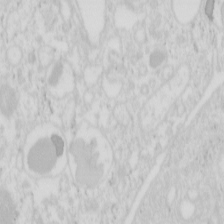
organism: Mouse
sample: Pancreas